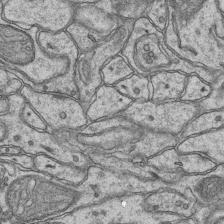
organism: Mouse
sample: CA1 Hippocampus